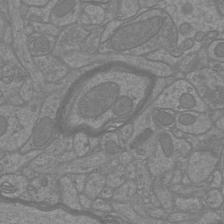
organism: Mouse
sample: Cortical neurons